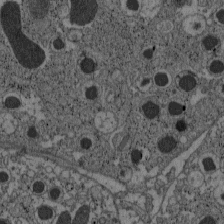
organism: C57BL Mouse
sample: Pancreatic islet